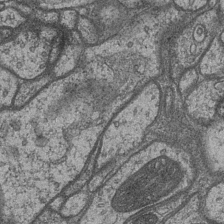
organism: Drosophila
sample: Optic medulla